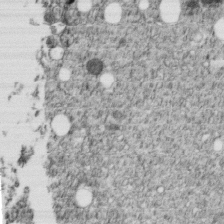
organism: C. elegans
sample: C. elegans embryo early stage